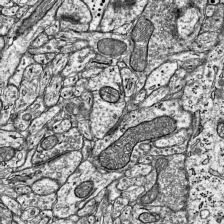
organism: Mouse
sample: Visual Cortex